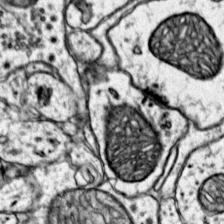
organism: Mouse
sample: Primary visual cortex